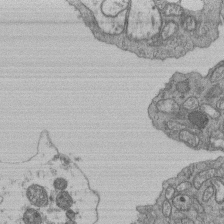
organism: Human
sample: Retinal organoid Rod and Cone cells